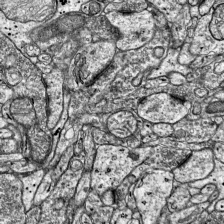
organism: Mouse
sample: Visual Cortex